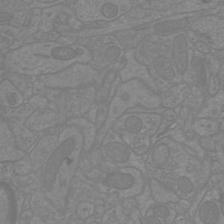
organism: Mouse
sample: Cortical neurons